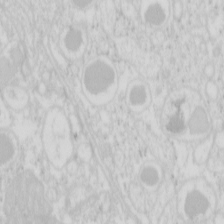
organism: Mouse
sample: Pancreas